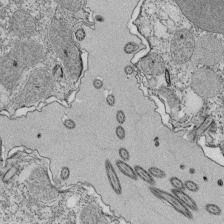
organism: Tetrahymena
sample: Cilia in tetrahymena